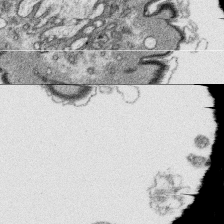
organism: Platynereis dumerilii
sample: Parapodia